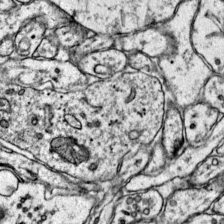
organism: Mouse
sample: Primary visual cortex